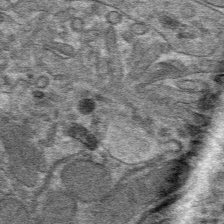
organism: Mouse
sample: Mouse hepatocytes